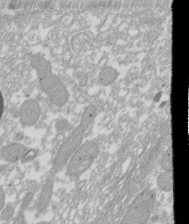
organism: Xenopus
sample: Cilia; centrioles in frog embryo cells